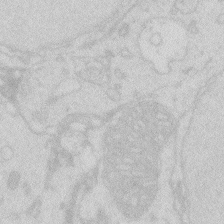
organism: Zebrafish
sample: Macrophage